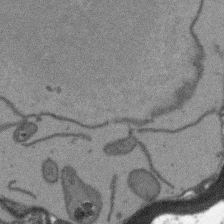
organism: Arabidopsis thaliana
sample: Root tip